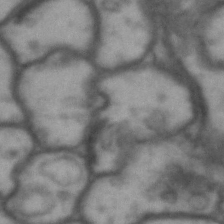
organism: Drosophila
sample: Brain